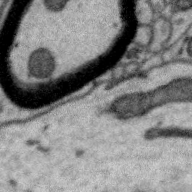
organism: Zebra finch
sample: Brain